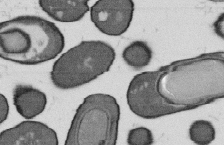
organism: B. subtilis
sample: Bacterial spore